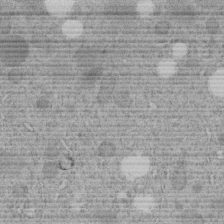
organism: C. elegans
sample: C. elegans embryo early stage